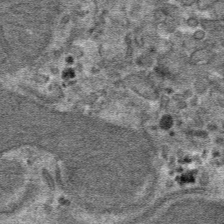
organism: Mouse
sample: Mouse hepatocytes